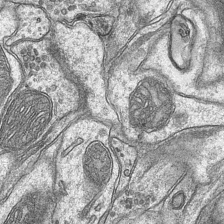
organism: Mouse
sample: CA1 Hippocampus